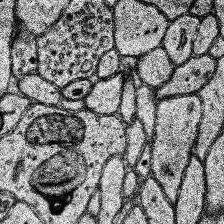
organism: Human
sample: Temporal Lobe